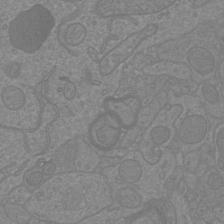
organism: Mouse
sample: Cortical neurons